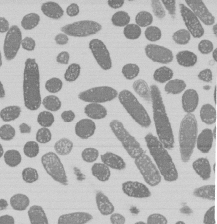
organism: E. coli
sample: Bacterial nucleoid